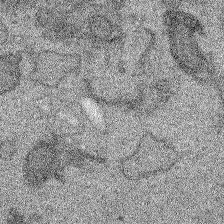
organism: Human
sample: HeLa cells